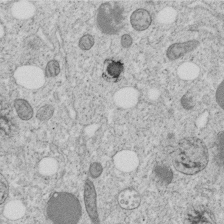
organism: C. elegans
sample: C. elegans embryo early stage